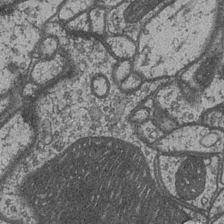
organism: Drosophila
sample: Optic medulla